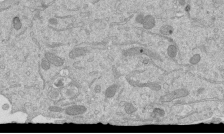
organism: Mouse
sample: ED-1 cell nuclei; centrioles